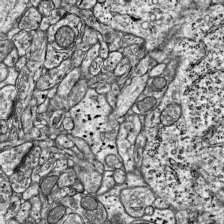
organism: Mouse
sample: Visual Cortex